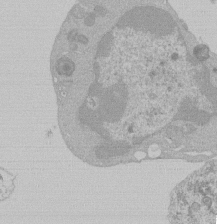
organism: Mouse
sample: Activated Pmel transgenic CD8+ T Cells